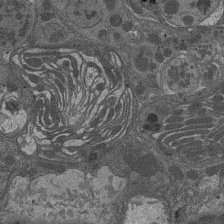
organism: Drosophila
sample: Antenna